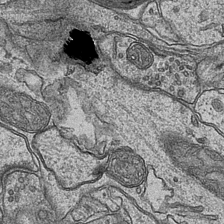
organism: Mouse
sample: CA1 Hippocampus